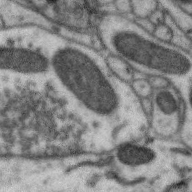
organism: Zebra finch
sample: Brain